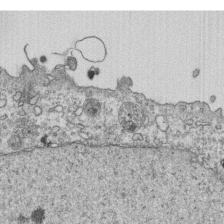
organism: Human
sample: HeLa cell HIV synapse